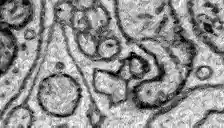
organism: Zebrafish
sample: Brain